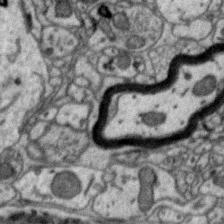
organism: Zebra finch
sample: Brain